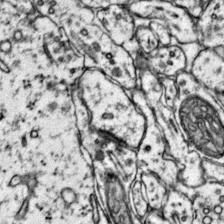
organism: Mouse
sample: Primary visual cortex